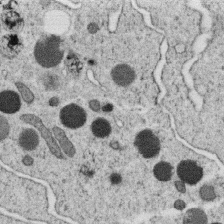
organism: C. elegans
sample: C. elegans oocyte; sperm cells